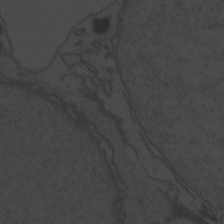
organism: Zebrafish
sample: Macrophage infected with Toxoplasma gondii